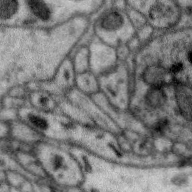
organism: Zebra finch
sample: Brain